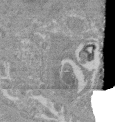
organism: Mouse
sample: Glomerulus